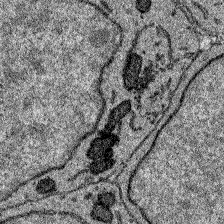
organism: Zebrafish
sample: Larval olfactory bulb